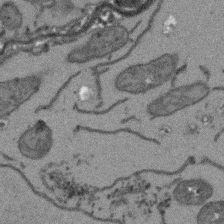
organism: Arabidopsis thaliana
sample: Root tip